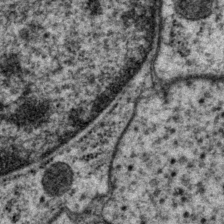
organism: P. pacificus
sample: Pharynx